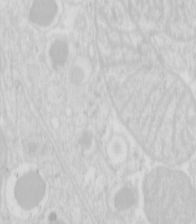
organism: Mouse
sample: Pancreas